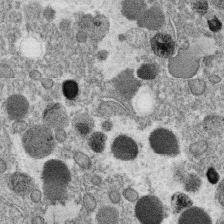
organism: C. elegans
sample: C. elegans oocyte; sperm cells